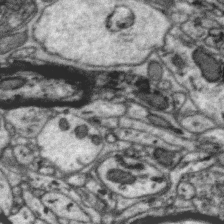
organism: Zebra finch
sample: Brain